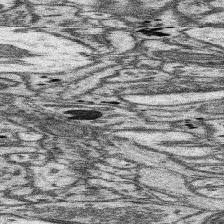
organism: Mouse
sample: Somatosensory cortex neuropil